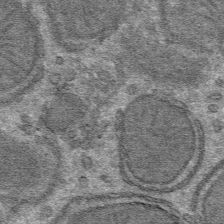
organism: Mouse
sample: Mouse hepatocytes